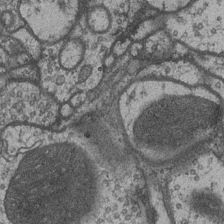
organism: Drosophila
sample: Optic medulla